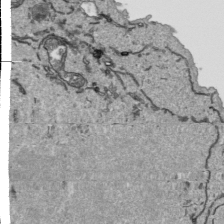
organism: Human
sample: Mitochondria in HCT116 cells